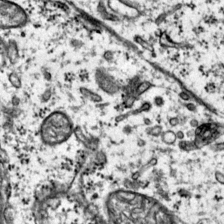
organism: Mouse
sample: Primary visual cortex